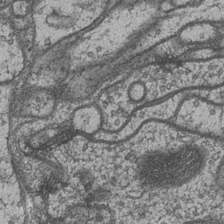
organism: Drosophila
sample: Optic medulla